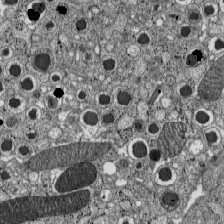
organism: C57BL Mouse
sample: Pancreatic islet